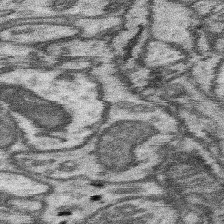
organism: Mouse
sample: Somatosensory cortex neuropil